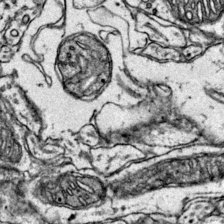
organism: Mouse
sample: Primary visual cortex